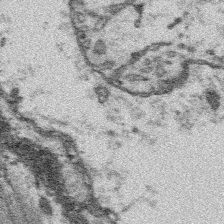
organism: Platynereis dumerilii